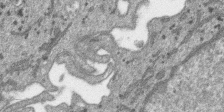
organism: Human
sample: Lung epithelial cells infected with SARS-CoV-2